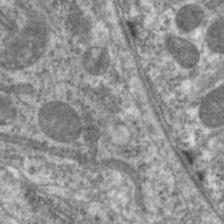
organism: C. elegans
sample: Pharynx